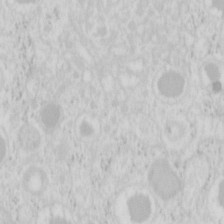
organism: Mouse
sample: Pancreas